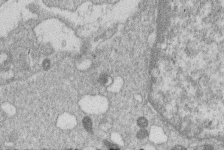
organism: Human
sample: Macrophage cells